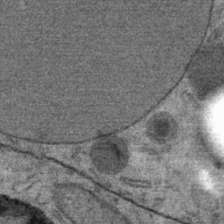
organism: Mouse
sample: Mouse Salivary gland